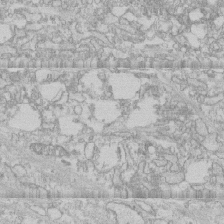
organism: Human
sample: CRL-1474